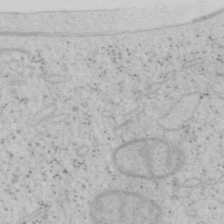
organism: Human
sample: HeLa cells